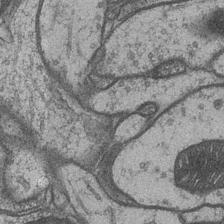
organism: Drosophila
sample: Optic medulla